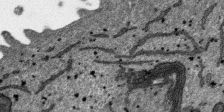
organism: Human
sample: Lung epithelial cells, uninfected (mock) control